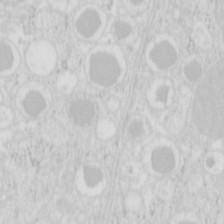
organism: Mouse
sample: Pancreas